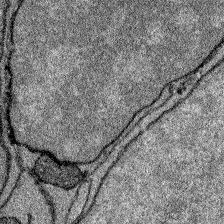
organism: Zebrafish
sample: Larval olfactory bulb